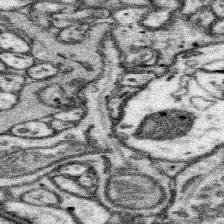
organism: Mouse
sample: Somatosensory cortex neuropil